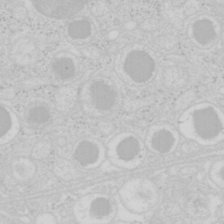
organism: Mouse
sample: Pancreas